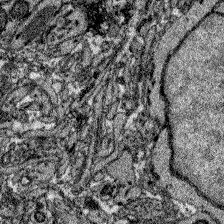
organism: Zebrafish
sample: Larval olfactory bulb